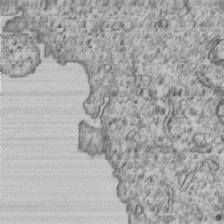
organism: Human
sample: MDA-MB-231 cells